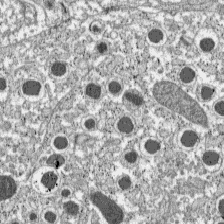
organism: C57BL Mouse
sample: Pancreatic islet